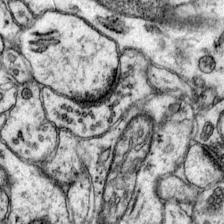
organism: Mouse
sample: Primary visual cortex